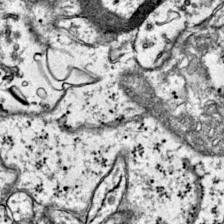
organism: Mouse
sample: Primary visual cortex